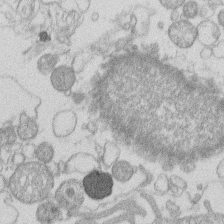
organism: Human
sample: Macrophage cells